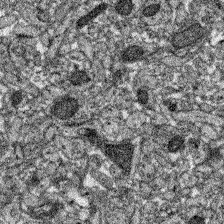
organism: Zebrafish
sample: Larval olfactory bulb